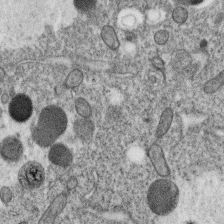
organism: C. elegans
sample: C. elegans oocyte; sperm cells